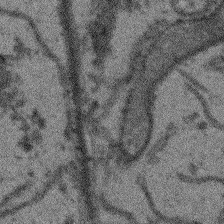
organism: Arabidopsis thaliana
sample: Root tip